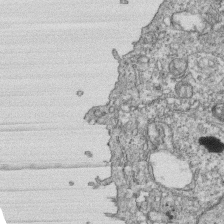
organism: Human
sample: HeLa cell HIV synapse